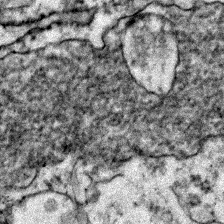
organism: Zebrafish